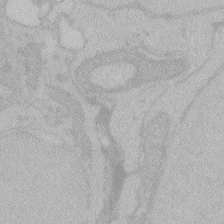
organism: Zebrafish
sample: Macrophage infected with Toxoplasma gondii